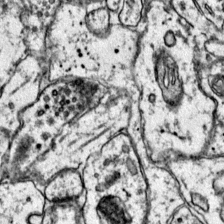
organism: Mouse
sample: Primary visual cortex